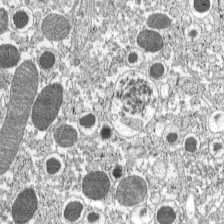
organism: C57BL Mouse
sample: Pancreatic islet